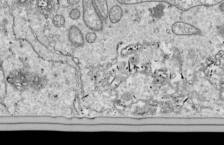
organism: Drosophila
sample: Cell division; meiosis; drosophila spermatocytes